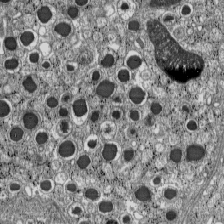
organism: C57BL Mouse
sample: Pancreatic islet